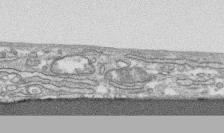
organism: Human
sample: CRL-1474